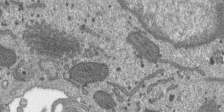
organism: Human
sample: Lung epithelial cells infected with SARS-CoV-2